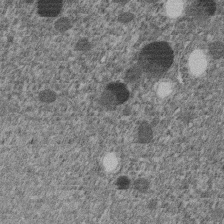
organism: C. elegans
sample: C. elegans embryo early stage